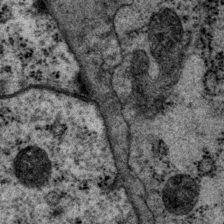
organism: P. pacificus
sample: Pharynx